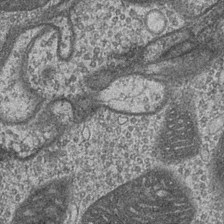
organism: Drosophila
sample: Optic medulla